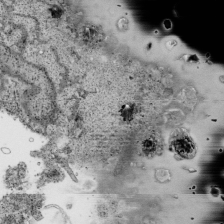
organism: Human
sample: Mitochondria in HCT116 cells